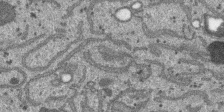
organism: Human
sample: Lung epithelial cells infected with SARS-CoV-2